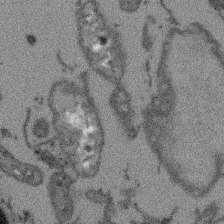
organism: Arabidopsis thaliana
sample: Root tip